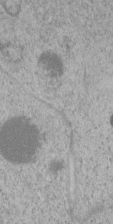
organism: C. elegans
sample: C. elegans embryo early stage